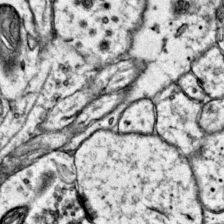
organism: Mouse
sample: Primary visual cortex